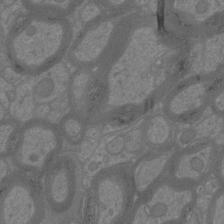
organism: Mouse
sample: Cortical neurons